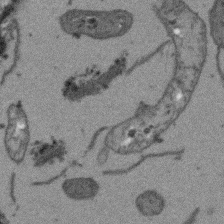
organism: Arabidopsis thaliana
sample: Root tip